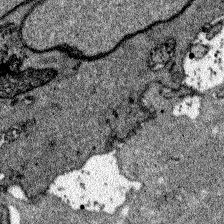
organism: Zebrafish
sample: Larval olfactory bulb